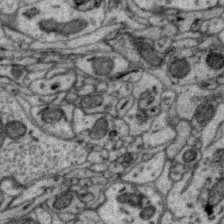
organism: Zebra finch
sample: Brain